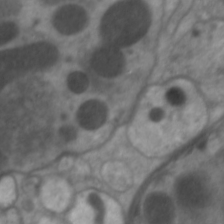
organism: C. elegans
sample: Pharynx